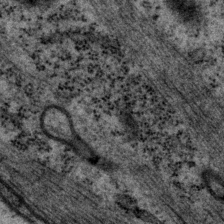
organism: P. pacificus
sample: Pharynx